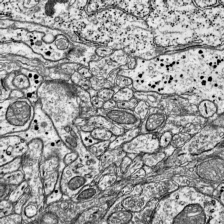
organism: Mouse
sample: Visual Cortex